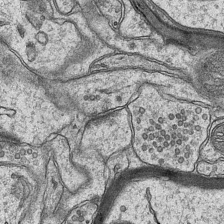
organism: Mouse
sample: CA1 Hippocampus